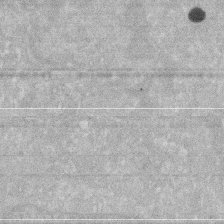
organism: Human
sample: HIV infected U937 cells